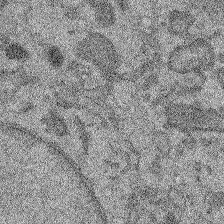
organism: Human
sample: HeLa cells